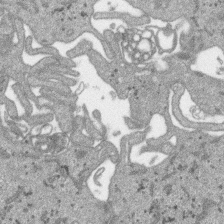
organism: Human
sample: Lung epithelial cells infected with SARS-CoV-2